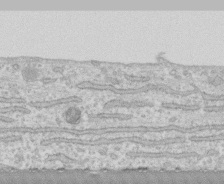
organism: Human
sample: CRL-1474